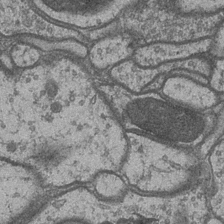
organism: Drosophila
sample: Optic medulla